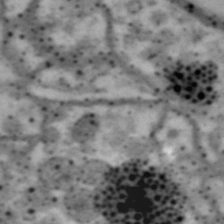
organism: Drosophila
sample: Brain